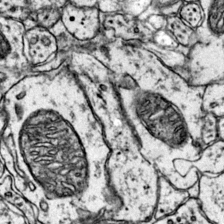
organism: Mouse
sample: Primary visual cortex